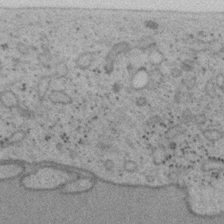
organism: Human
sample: HeLa cells